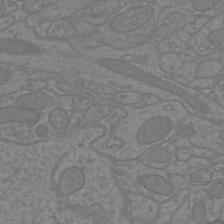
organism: Mouse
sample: Cortical neurons